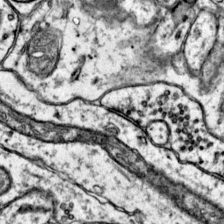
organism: Mouse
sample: Primary visual cortex